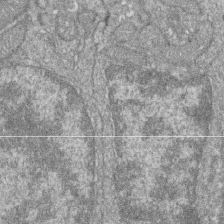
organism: Zebrafish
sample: Cilia; retinal pigment epithelium